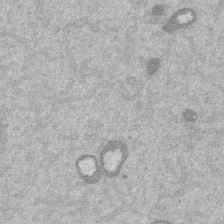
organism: Mouse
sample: Dividing mouse embryo 1 cell stage